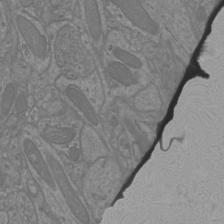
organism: Mouse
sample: Cortical neurons